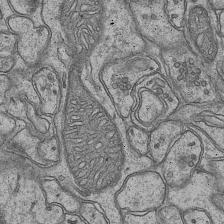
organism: Mouse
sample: CA1 Hippocampus